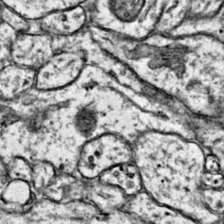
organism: Mouse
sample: Primary visual cortex